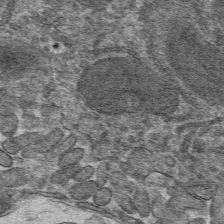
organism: Mouse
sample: Mouse hepatocytes